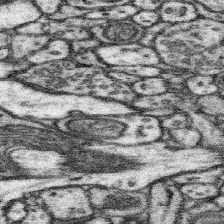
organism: Mouse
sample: Somatosensory cortex neuropil